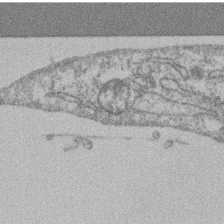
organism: Mouse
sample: T cell stromal cell synapse